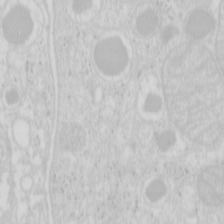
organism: Mouse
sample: Pancreas